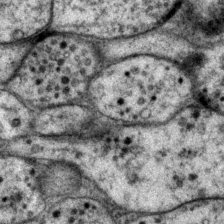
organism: P. pacificus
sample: Pharynx